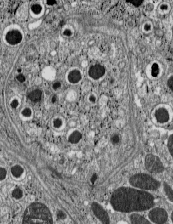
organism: C57BL Mouse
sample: Pancreatic islet